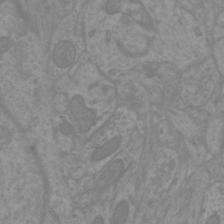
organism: Mouse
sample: Cortical neurons